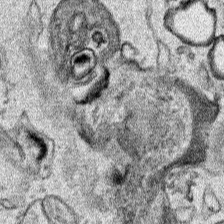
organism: Human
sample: Mitochondria in HCT116 cells